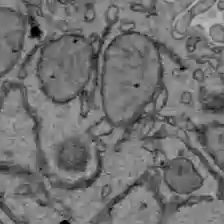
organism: C57BL Mouse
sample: Liver